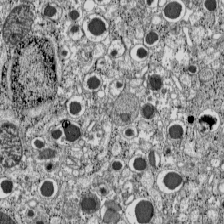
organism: C57BL Mouse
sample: Pancreatic islet